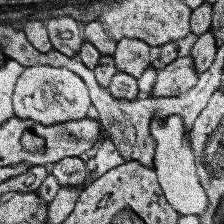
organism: Human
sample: Temporal Lobe